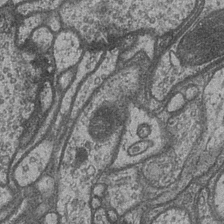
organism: Drosophila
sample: Optic medulla